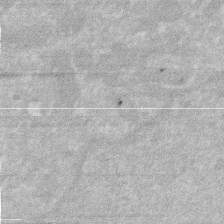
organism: Human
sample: HIV infected U937 cells